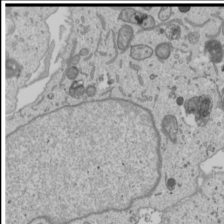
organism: Human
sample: Mitochondria in U2OS cells